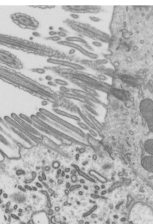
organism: Mouse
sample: Mouse epididymis efferent ductule cilia